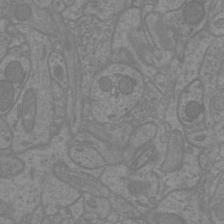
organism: Mouse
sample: Cortical neurons